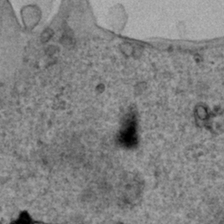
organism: Human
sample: Mitochondria in HCT116 cells